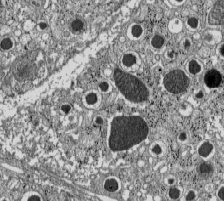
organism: C57BL Mouse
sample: Pancreatic islet